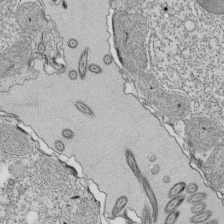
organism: Tetrahymena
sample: Cilia in tetrahymena